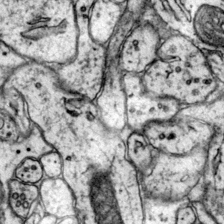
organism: Mouse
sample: Primary visual cortex